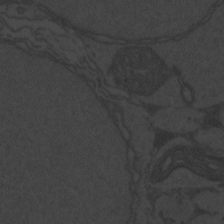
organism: Zebrafish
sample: Macrophage infected with Toxoplasma gondii